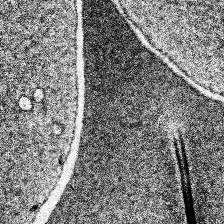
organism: Human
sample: Temporal Lobe